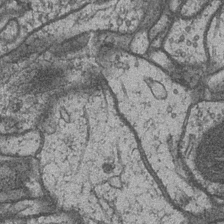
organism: Drosophila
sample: Optic medulla